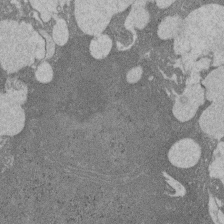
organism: Rat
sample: Salivary granule